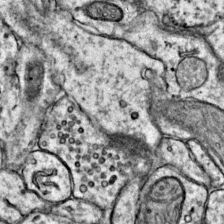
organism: Mouse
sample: Primary visual cortex